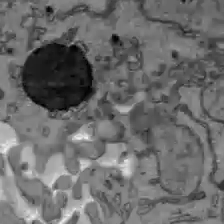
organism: C57BL Mouse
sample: Liver